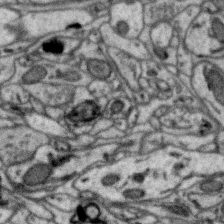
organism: Zebra finch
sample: Brain